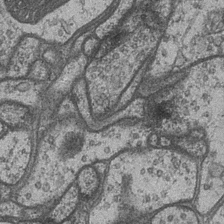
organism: Drosophila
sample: Optic medulla